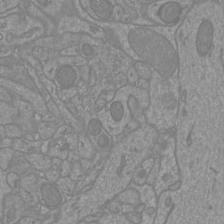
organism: Mouse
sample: Cortical neurons